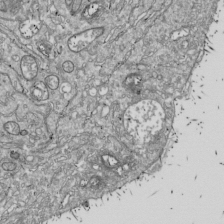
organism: Drosophila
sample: Cell division; meiosis; drosophila spermatocytes